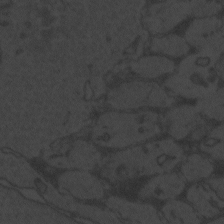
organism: Zebrafish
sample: Macrophage infected with Toxoplasma gondii